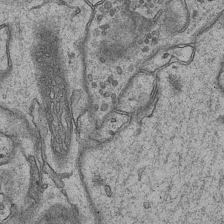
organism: Mouse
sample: CA1 Hippocampus